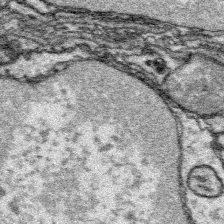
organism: Platynereis dumerilii